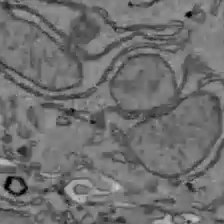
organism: C57BL Mouse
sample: Liver